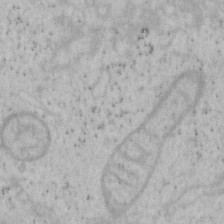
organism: Human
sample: HeLa cells